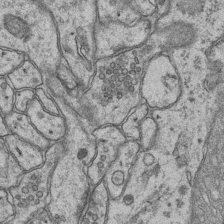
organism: Mouse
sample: CA1 Hippocampus